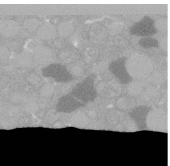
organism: C. elegans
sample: C. elegans oocyte; sperm cells